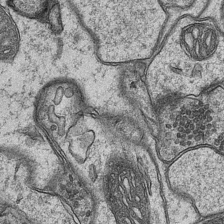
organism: Mouse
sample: CA1 Hippocampus